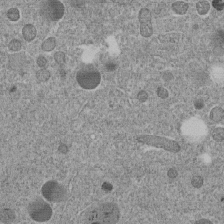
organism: C. elegans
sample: C. elegans embryo early stage